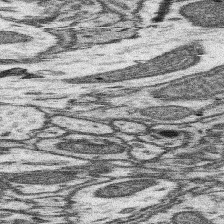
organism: Mouse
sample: Somatosensory cortex neuropil